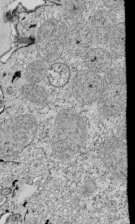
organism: Tetrahymena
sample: Cilia in tetrahymena